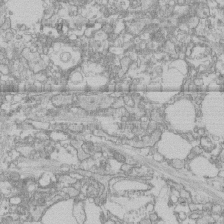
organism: Human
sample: CRL-1474